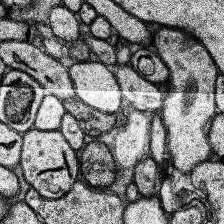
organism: Human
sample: Temporal Lobe